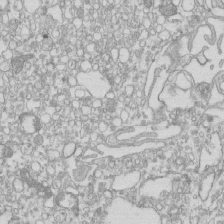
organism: Mouse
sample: Macrophages